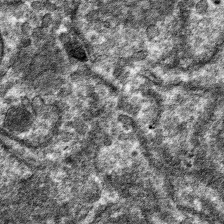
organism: Mouse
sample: Mouse hepatocytes